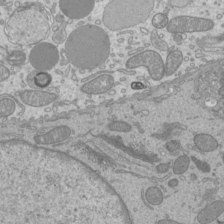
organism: Mouse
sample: Cilia; mouse epididymis